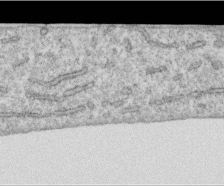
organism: Human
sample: Centriole in RPE cells